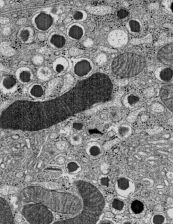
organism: C57BL Mouse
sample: Pancreatic islet